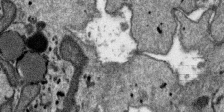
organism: Human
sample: Lung epithelial cells, uninfected (mock) control